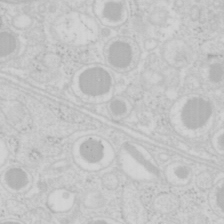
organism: Mouse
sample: Pancreas